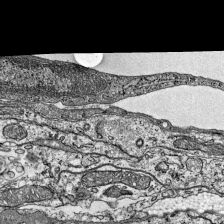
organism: Mouse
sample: Visual Cortex